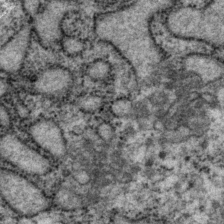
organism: P. pacificus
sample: Pharynx